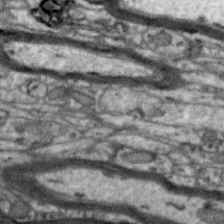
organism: Zebra finch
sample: Brain